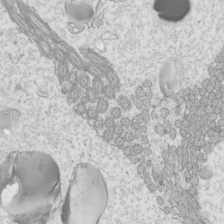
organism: Mouse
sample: Cilia; mouse epididymis